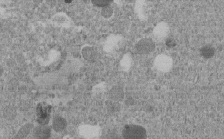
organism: C. elegans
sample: C. elegans embryo early stage